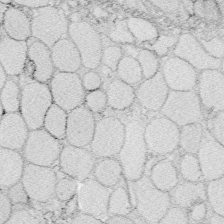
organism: Zebrafish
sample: Whole-Brain